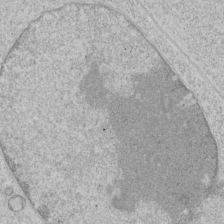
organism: Human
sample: Mitochondria in HCT116 cells